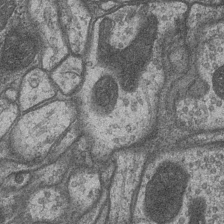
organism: Drosophila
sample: Optic medulla